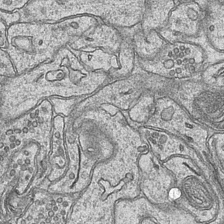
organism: Mouse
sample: CA1 Hippocampus